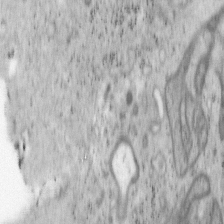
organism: Human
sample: HeLa cells